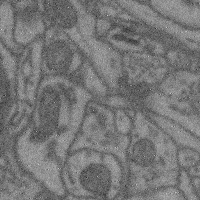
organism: Mouse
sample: Cerebral cortex